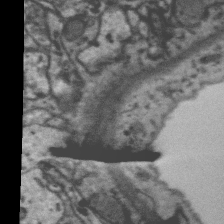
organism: Zebra finch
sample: Brain